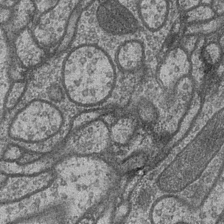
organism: Drosophila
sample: Optic medulla